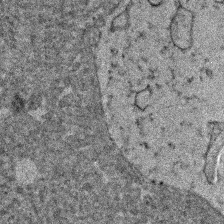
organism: Human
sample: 1205lu cells